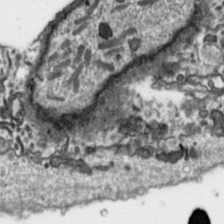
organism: Toxoplasma gondii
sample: Parasites in a vacuole inside a host cell